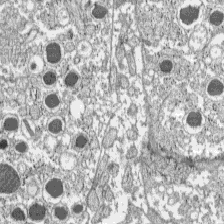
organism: C57BL Mouse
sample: Pancreatic islet